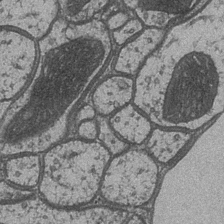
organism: Drosophila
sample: Optic medulla